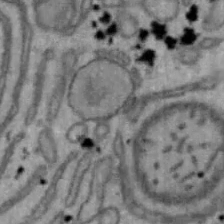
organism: Mouse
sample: Liver